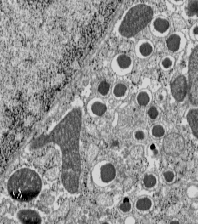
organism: C57BL Mouse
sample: Pancreatic islet